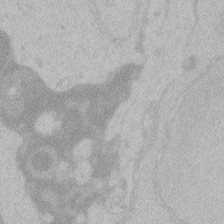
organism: Zebrafish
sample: Macrophage infected with Toxoplasma gondii